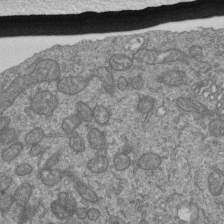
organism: Human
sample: Retinal organoid Rod and Cone cells